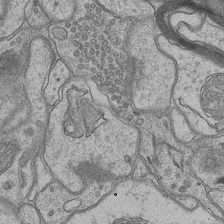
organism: Mouse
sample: CA1 Hippocampus